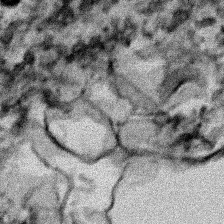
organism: Human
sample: Mitochondria in HCT116 cells